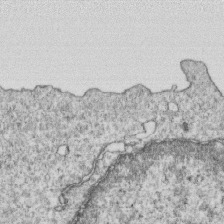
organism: Mouse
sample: Activated OT-1 CD8+ T cells